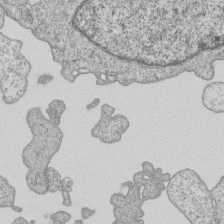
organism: Human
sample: MDA-MB-231 cells